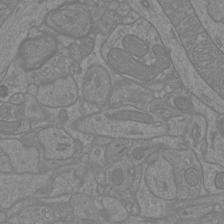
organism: Mouse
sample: Cortical neurons